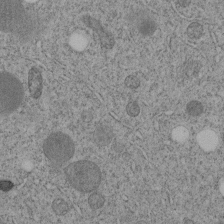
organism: C. elegans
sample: C. elegans embryo early stage